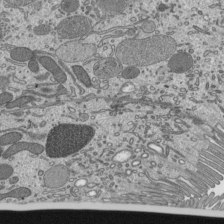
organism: Mouse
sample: Mouse epididymis efferent ductule cilia